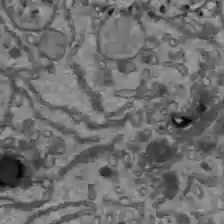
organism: C57BL Mouse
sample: Liver